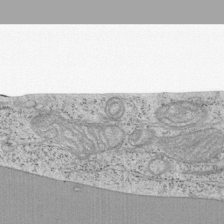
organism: Human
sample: HeLa cells